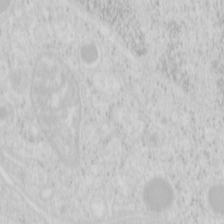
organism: Mouse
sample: Pancreas